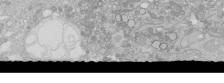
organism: Human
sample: Caco-2 cells